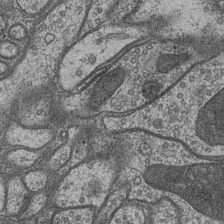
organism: Drosophila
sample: Optic medulla